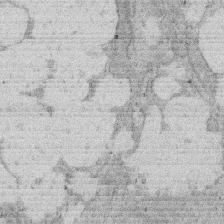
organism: Rat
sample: Salivary granule